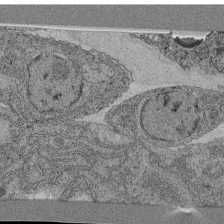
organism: C. elegans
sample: C. elegans pharynx